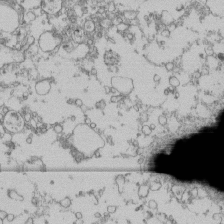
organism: Human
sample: Fibroblast cells